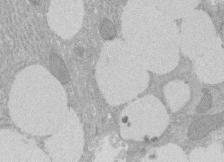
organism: Rat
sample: Salivary granule